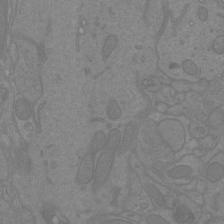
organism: Mouse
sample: Cortical neurons